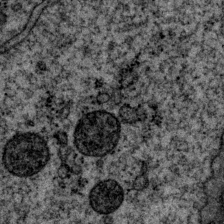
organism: P. pacificus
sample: Pharynx